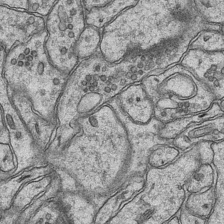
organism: Mouse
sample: CA1 Hippocampus